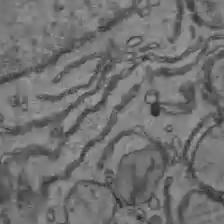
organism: C57BL Mouse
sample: Liver